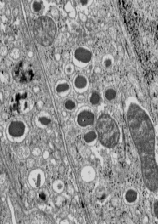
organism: C57BL Mouse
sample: Pancreatic islet